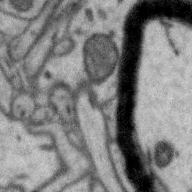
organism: Zebra finch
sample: Brain